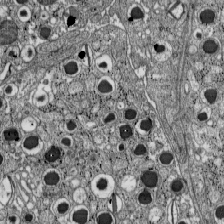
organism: C57BL Mouse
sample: Pancreatic islet